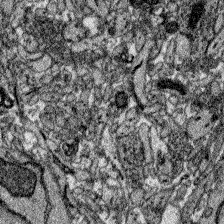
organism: Zebrafish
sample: Larval olfactory bulb